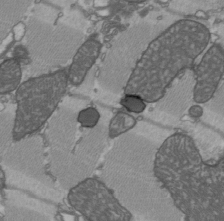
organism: C57BL Mouse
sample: Heart